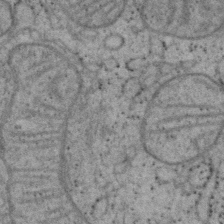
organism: Human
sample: HeLa cells